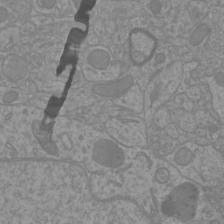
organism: Mouse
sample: Cortical neurons